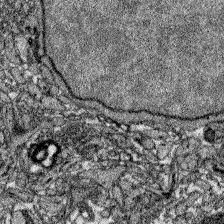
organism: Zebrafish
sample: Larval olfactory bulb